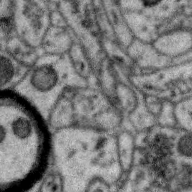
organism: Zebra finch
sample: Brain